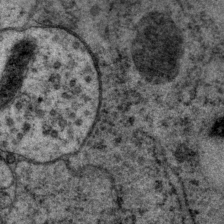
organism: P. pacificus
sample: Pharynx